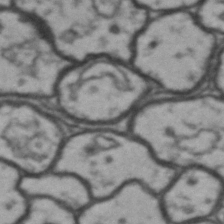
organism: Drosophila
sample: Brain